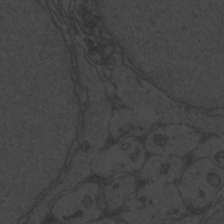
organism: Zebrafish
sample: Macrophage infected with Toxoplasma gondii